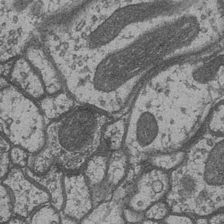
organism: Drosophila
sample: Optic medulla